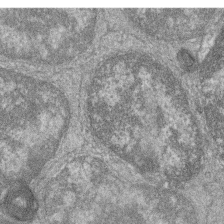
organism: Zebrafish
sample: Cilia; retinal pigment epithelium